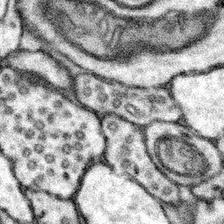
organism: Mouse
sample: Somatosensory cortex neuropil